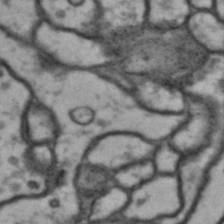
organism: Drosophila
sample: Brain